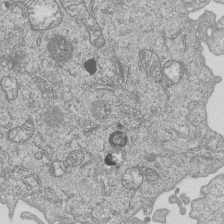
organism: Human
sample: MDA-MB-231 cells